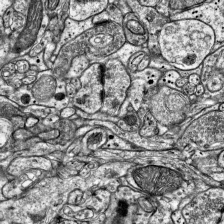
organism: Mouse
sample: Visual Cortex